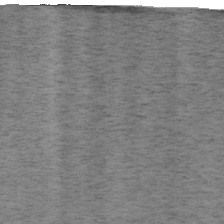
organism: Mouse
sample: OT-I killer T cells with ID8 ovarian cancer cells